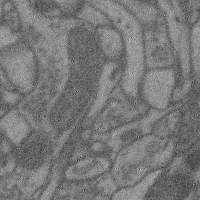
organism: Mouse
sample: Cerebral cortex